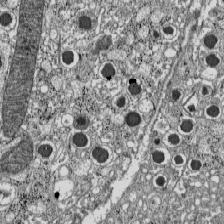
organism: C57BL Mouse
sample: Pancreatic islet